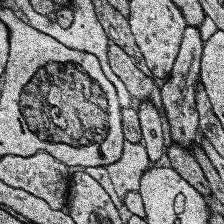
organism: Human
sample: Temporal Lobe